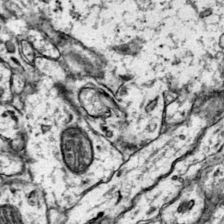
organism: Mouse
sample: Primary visual cortex